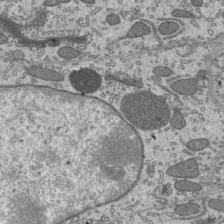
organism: Mouse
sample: Mouse epididymis efferent ductule cilia